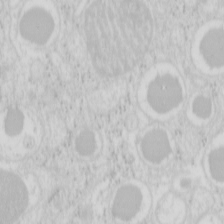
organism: Mouse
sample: Pancreas